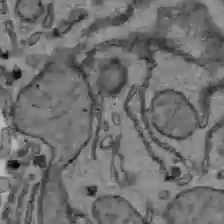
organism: C57BL Mouse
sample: Liver